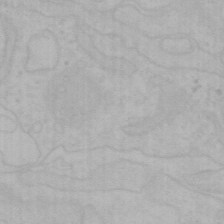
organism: Mouse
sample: Choroid plexus